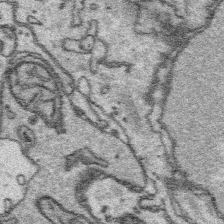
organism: Platynereis dumerilii